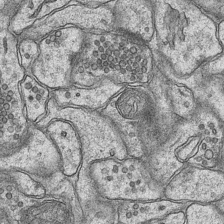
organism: Mouse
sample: CA1 Hippocampus